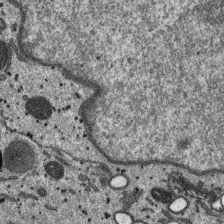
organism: Human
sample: Lung epithelial cells infected with SARS-CoV-2